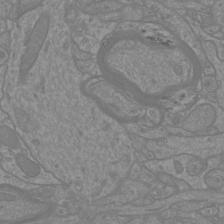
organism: Mouse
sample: Cortical neurons